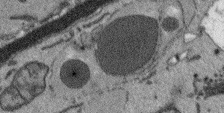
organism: Arabidopsis thaliana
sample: Root tip